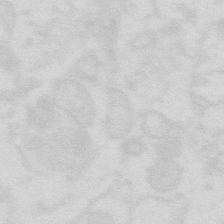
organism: Human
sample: HeLa cells